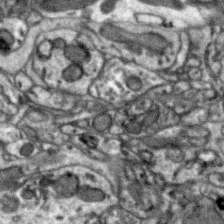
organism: Zebra finch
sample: Brain